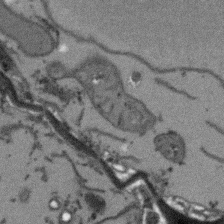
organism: Arabidopsis thaliana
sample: Root tip